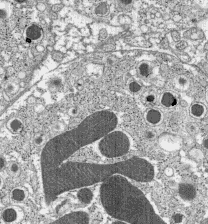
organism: C57BL Mouse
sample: Pancreatic islet